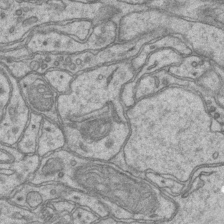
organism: Mouse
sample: CA1 Hippocampus